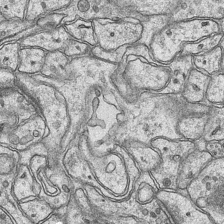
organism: Mouse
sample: CA1 Hippocampus